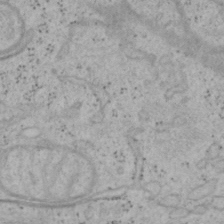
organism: Human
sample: HeLa cells